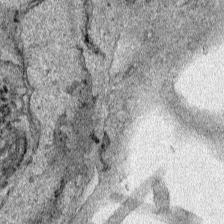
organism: Human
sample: Mitochondria in HCT116 cells